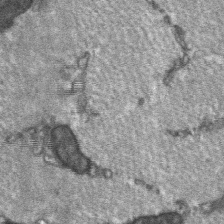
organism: C57BL Mouse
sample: Soleus